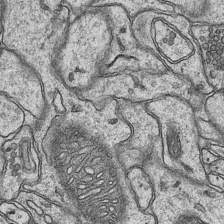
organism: Mouse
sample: CA1 Hippocampus